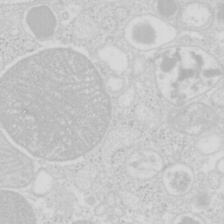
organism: Mouse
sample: Pancreas